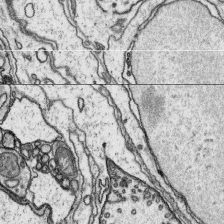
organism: Platynereis dumerilii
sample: Parapodia